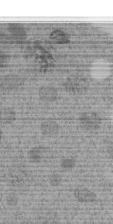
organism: C. elegans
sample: C. elegans embryo early stage